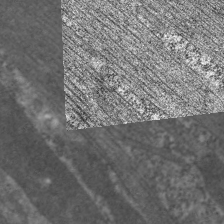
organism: C. elegans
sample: Pharynx